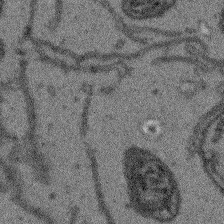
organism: Arabidopsis thaliana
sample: Root tip